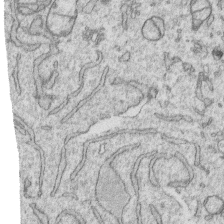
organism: Human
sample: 1205lu cells